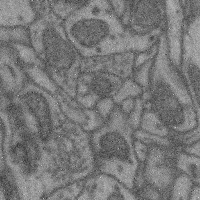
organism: Mouse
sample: Cerebral cortex